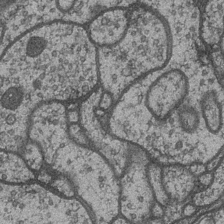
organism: Drosophila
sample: Optic medulla